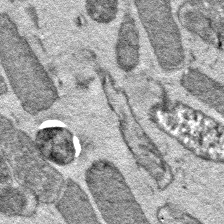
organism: E. coli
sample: E. Coli Bacteria